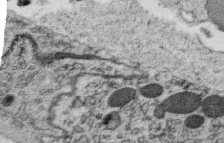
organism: C. elegans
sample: C. elegans oocyte; sperm cells